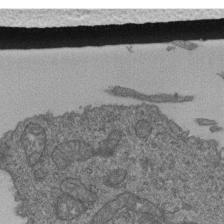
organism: Human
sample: Retinal organoid Rod and Cone cells